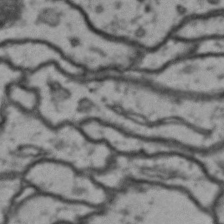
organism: Drosophila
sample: Brain